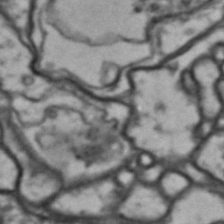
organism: Drosophila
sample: Brain